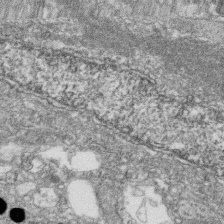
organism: Zebrafish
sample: Cilia; retinal pigment epithelium